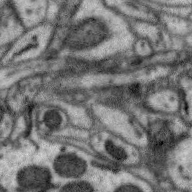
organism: Zebra finch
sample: Brain